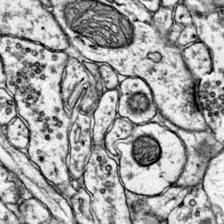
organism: Mouse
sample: Primary visual cortex